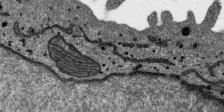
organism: Human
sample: Lung epithelial cells, uninfected (mock) control